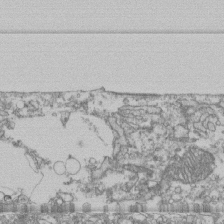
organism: Human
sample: Fibroblast cells